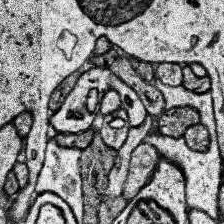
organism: Human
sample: Temporal Lobe